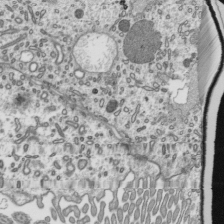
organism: Mouse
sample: Mouse epididymis efferent ductule cilia